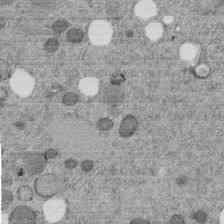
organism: C. elegans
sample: C. elegans embryo early stage